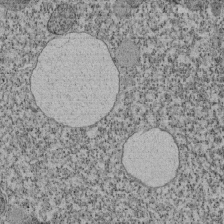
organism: Tetrahymena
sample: Cilia in tetrahymena